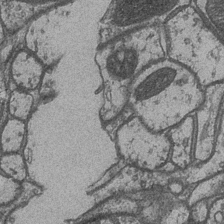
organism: Drosophila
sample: Optic medulla